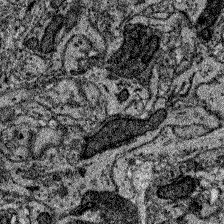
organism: Zebrafish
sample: Larval olfactory bulb